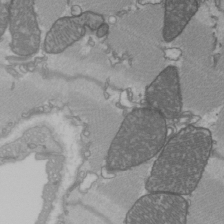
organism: C57BL Mouse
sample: Heart